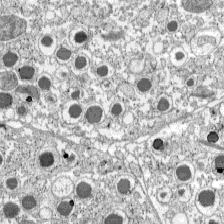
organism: C57BL Mouse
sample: Pancreatic islet